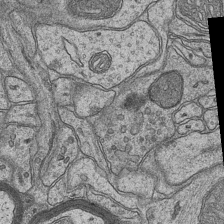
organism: Mouse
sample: CA1 Hippocampus